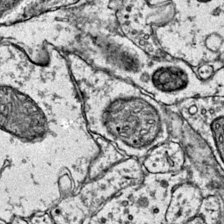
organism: Mouse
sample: Primary visual cortex